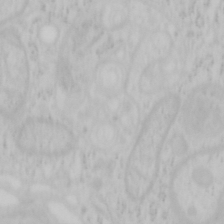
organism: Mouse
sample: OT-I killer T cells with ID8 ovarian cancer cells